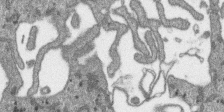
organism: Human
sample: Lung epithelial cells infected with SARS-CoV-2